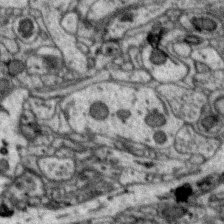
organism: Zebra finch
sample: Brain